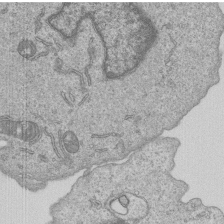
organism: Human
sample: MDA-MB-231 cells